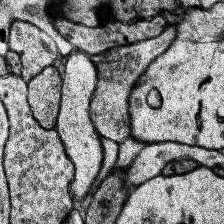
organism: Human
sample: Temporal Lobe